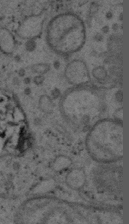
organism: Human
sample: HeLa cells